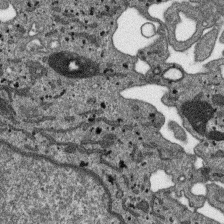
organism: Human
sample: Lung epithelial cells infected with SARS-CoV-2